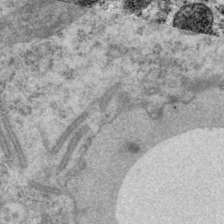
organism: P. pacificus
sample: Pharynx